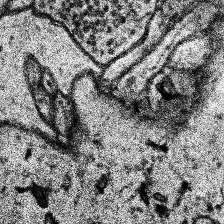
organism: Human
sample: Temporal Lobe